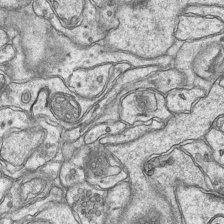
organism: Mouse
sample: CA1 Hippocampus